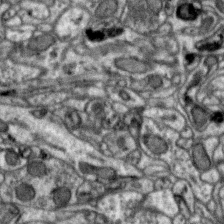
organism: Zebra finch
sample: Brain